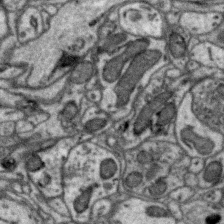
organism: Zebra finch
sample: Brain